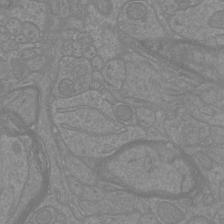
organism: Mouse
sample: Cortical neurons